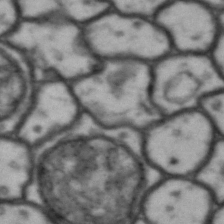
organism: Drosophila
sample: Brain